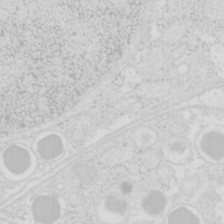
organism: Mouse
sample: Pancreas